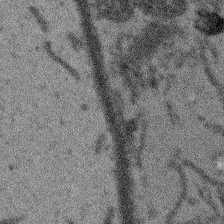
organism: Arabidopsis thaliana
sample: Root tip